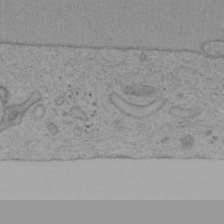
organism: Human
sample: HeLa cells